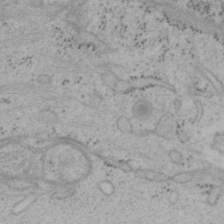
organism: Human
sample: HeLa cells